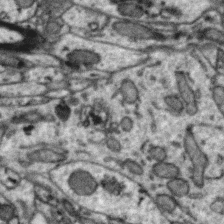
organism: Zebra finch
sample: Brain